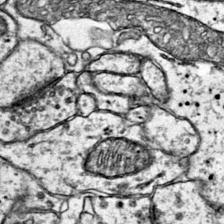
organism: Mouse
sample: Primary visual cortex